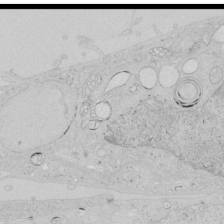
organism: Human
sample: Mitochondria in HCT116 cells